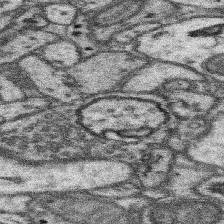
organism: Mouse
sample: Somatosensory cortex neuropil